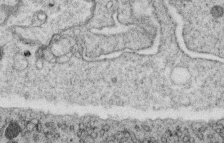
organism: C. elegans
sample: C. elegans oocyte; sperm cells